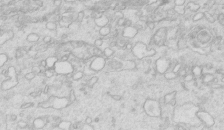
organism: Mouse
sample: Multiciliated cells